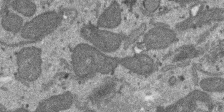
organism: Human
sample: Lung epithelial cells infected with SARS-CoV-2